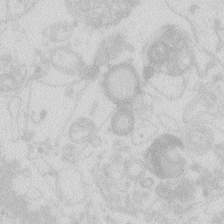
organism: Zebrafish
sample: Macrophage